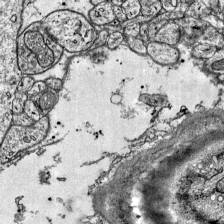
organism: Mouse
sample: Visual Cortex